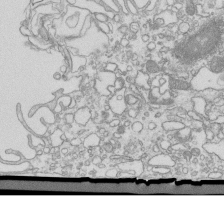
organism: Mouse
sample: Macrophages